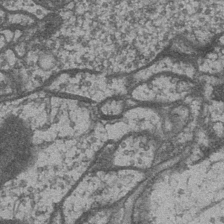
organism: Drosophila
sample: Optic medulla